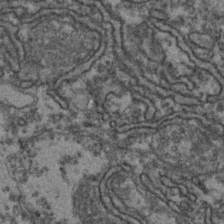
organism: Zebrafish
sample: Zebrafish embryo